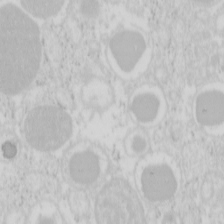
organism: Mouse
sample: Pancreas